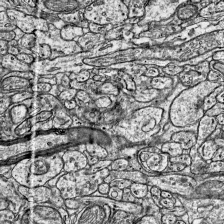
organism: Mouse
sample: Visual Cortex